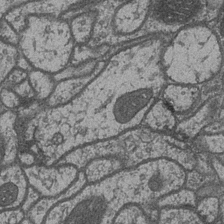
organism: Drosophila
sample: Optic medulla